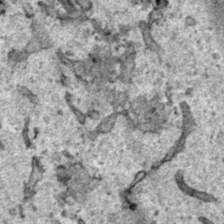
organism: Human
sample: Mitochondria in HCT116 cells